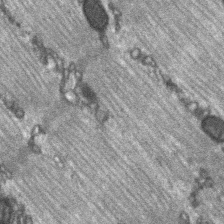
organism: C57BL Mouse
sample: Soleus